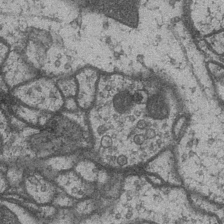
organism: Drosophila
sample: Optic medulla